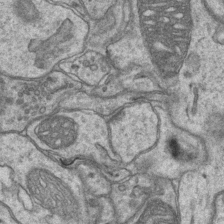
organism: Mouse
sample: CA1 Hippocampus